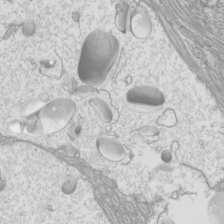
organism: Mouse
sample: Cilia; mouse epididymis